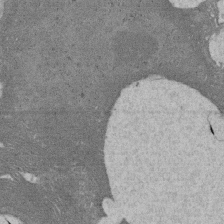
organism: Rat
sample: Salivary granule